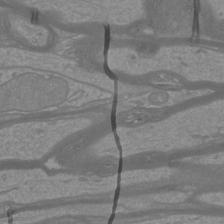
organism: Mouse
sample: Cortical neurons